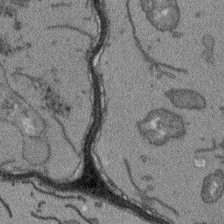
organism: Arabidopsis thaliana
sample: Root tip